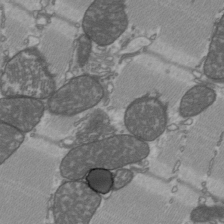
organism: C57BL Mouse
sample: Heart